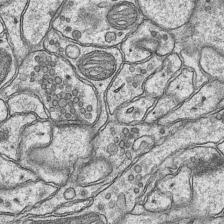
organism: Mouse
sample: CA1 Hippocampus